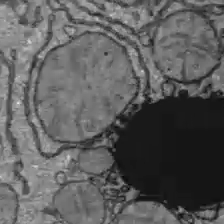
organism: C57BL Mouse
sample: Liver